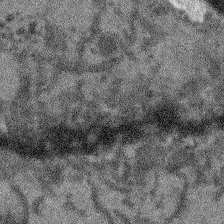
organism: Arabidopsis thaliana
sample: Root tip